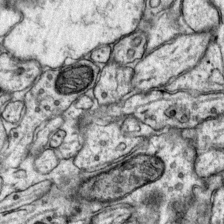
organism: Mouse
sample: Primary visual cortex